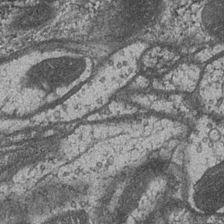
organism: Drosophila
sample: Optic medulla